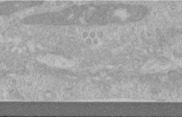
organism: Human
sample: Centriole in RPE cells